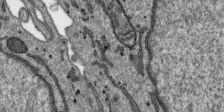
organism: Human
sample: Lung epithelial cells, uninfected (mock) control